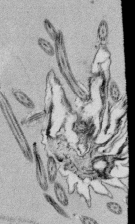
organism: Tetrahymena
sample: Cilia in tetrahymena